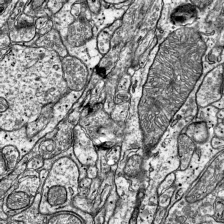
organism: Mouse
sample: Visual Cortex